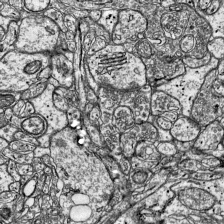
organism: Mouse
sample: Visual Cortex